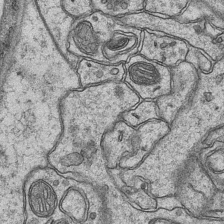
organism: Mouse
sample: CA1 Hippocampus